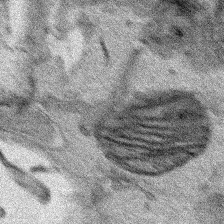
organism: Human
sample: Mitochondria in HCT116 cells